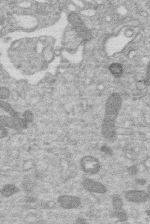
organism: Human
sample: Macrophage cells